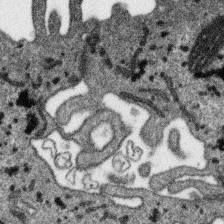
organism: Human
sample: Lung epithelial cells infected with SARS-CoV-2